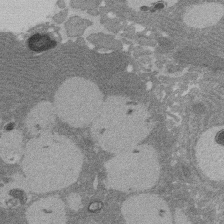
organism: Rat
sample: Salivary granule